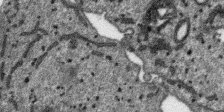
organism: Human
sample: Lung epithelial cells infected with SARS-CoV-2